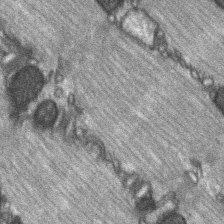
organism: C57BL Mouse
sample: Soleus